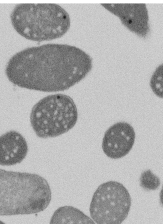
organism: E. coli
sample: Bacterial nucleoid